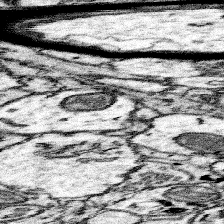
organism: Mouse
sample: Somatosensory cortex neuropil